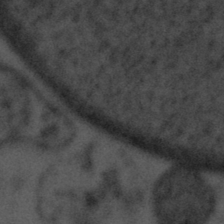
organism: Tuwongella immobilis